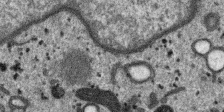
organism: Human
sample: Lung epithelial cells infected with SARS-CoV-2